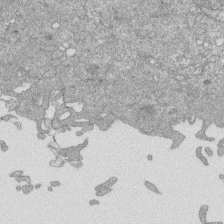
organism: Human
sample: HeLa cell HIV synapse